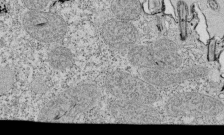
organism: Tetrahymena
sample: Cilia in tetrahymena